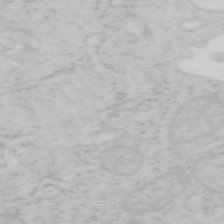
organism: Mouse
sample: OT-I killer T cells with ID8 ovarian cancer cells